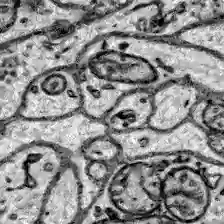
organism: Zebrafish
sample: Brain